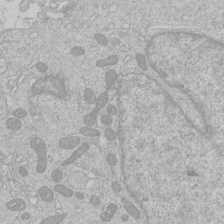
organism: Human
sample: Macrophage cells